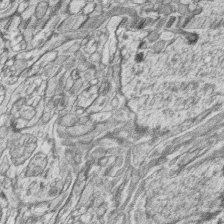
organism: Zebrafish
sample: synaptic ribbons in rod cells and cone cells